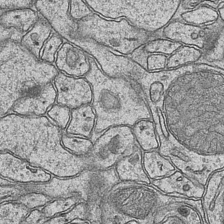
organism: Mouse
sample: CA1 Hippocampus